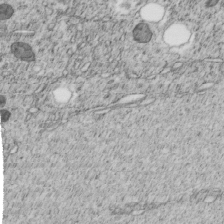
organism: C. elegans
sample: C. elegans embryo early stage